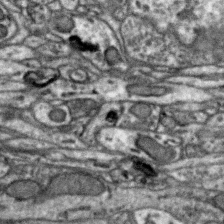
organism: Zebra finch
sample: Brain